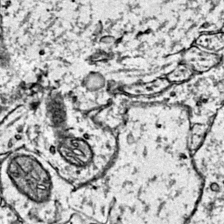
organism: Mouse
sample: Primary visual cortex